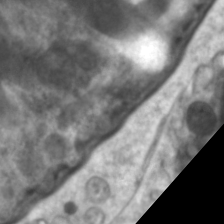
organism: C. elegans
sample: Pharynx